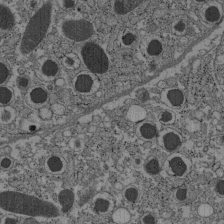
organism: C57BL Mouse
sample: Pancreatic islet